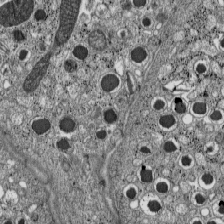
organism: C57BL Mouse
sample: Pancreatic islet